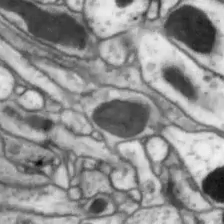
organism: Drosophila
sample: Optic lobe